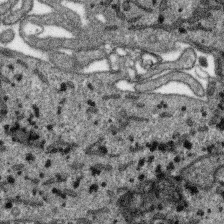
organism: Human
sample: Lung epithelial cells infected with SARS-CoV-2